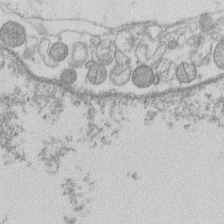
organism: Human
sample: Macrophage cells